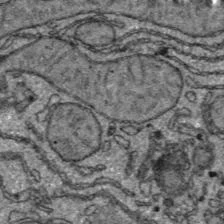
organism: C57BL Mouse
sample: Liver